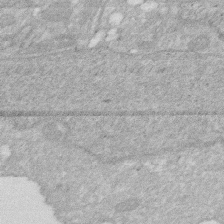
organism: Human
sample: HIV infected U937 cells